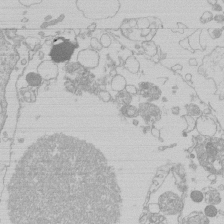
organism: Human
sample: Macrophage cells